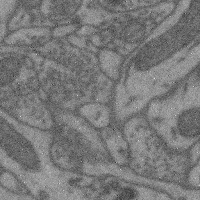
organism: Mouse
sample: Cerebral cortex